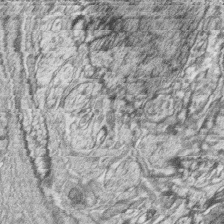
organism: Zebrafish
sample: synaptic ribbons in rod cells and cone cells